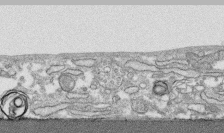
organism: Human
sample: CRL-1474